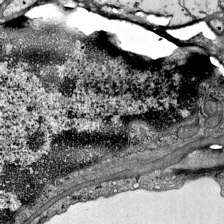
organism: Mouse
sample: Visual Cortex